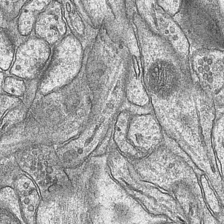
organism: Mouse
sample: CA1 Hippocampus